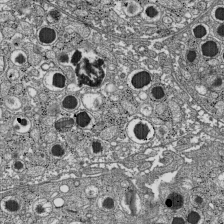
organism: C57BL Mouse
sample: Pancreatic islet